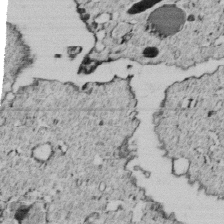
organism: C. elegans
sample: C. elegans embryo early stage